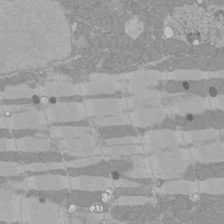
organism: Rat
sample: Left ventricle